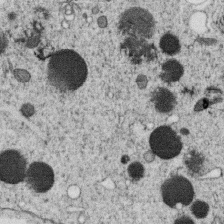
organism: C. elegans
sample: C. elegans oocyte; sperm cells